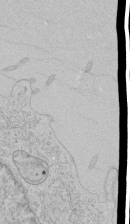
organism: Human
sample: Mitochondria in HCT116 cells